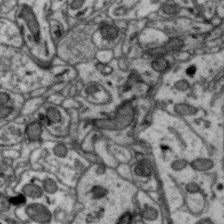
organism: Zebra finch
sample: Brain